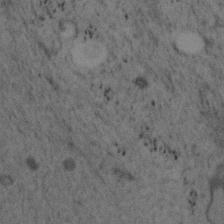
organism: Human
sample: HeLa cells